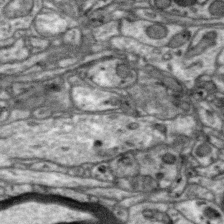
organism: Zebra finch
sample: Brain